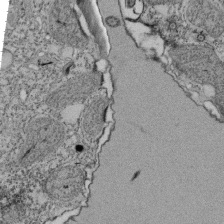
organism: Tetrahymena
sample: Cilia in tetrahymena